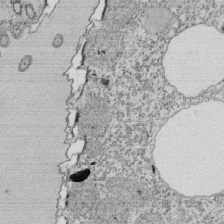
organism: Tetrahymena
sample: Cilia in tetrahymena